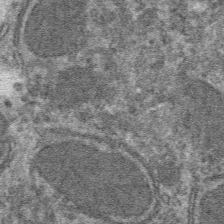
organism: Mouse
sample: Mouse hepatocytes